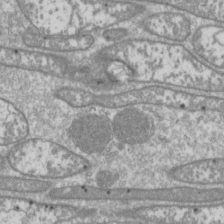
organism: Drosophila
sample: Cell division; meiosis; drosophila spermatocytes